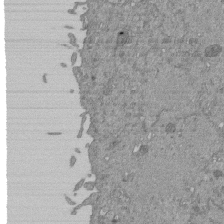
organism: Mouse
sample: ED-1 cell nuclei; centrioles